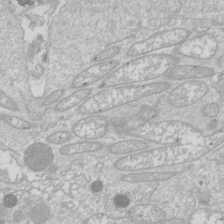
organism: Drosophila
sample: Cell division; meiosis; drosophila spermatocytes